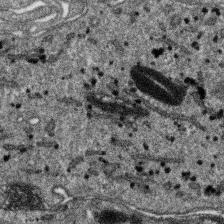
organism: Human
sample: Lung epithelial cells infected with SARS-CoV-2